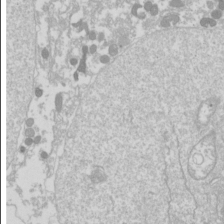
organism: Drosophila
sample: Cell division; meiosis; drosophila spermatocytes